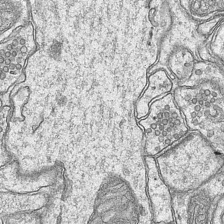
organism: Mouse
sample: CA1 Hippocampus